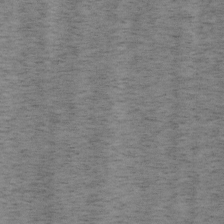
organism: Mouse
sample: OT-I killer T cells with ID8 ovarian cancer cells